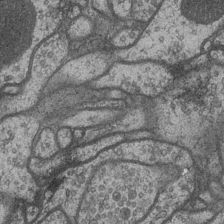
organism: Drosophila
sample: Optic medulla